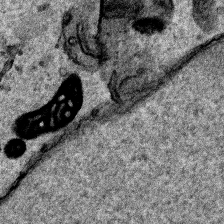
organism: Human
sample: Mitochondria in HCT116 cells